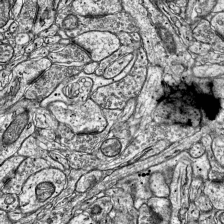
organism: Mouse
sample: Visual Cortex